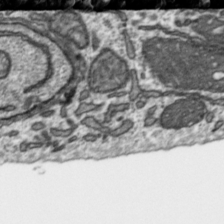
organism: Toxoplasma gondii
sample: Parasites in a vacuole inside a host cell